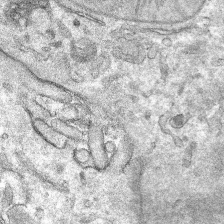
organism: Mouse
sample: Mouse hepatocytes